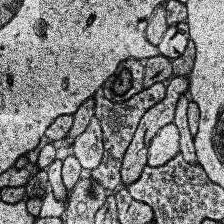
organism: Human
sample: Temporal Lobe